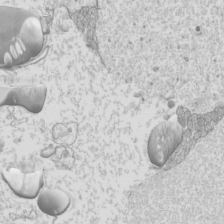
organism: Mouse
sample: Cilia; mouse epididymis